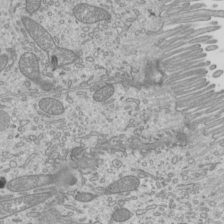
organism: Mouse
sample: Cilia; mouse epididymis